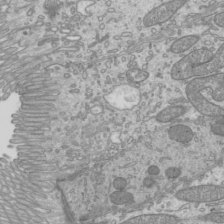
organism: Mouse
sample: Cilia; mouse epididymis